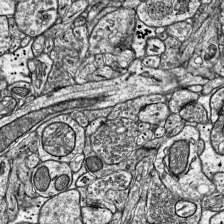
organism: Mouse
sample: Visual Cortex